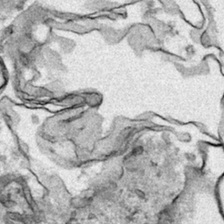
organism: Human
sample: Mitochondria in HCT116 cells